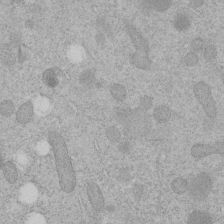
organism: C. elegans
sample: C. elegans embryo early stage